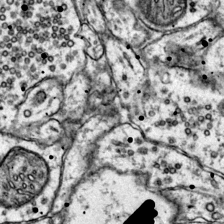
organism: Mouse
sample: Primary visual cortex